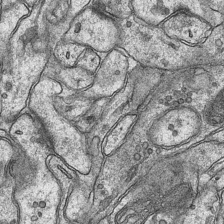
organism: Mouse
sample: CA1 Hippocampus